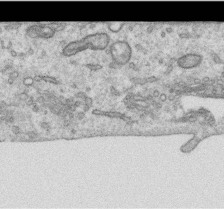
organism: Human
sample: Centriole in RPE cells